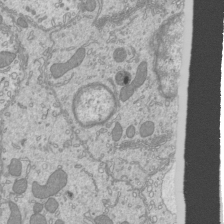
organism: Mouse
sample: Cilia; mouse epididymis